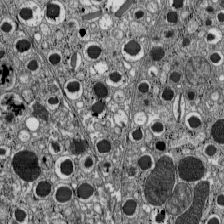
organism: C57BL Mouse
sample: Pancreatic islet